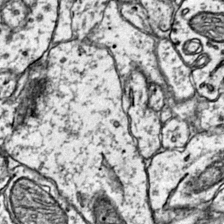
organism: Mouse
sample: Primary visual cortex